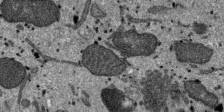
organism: Human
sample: Lung epithelial cells, uninfected (mock) control